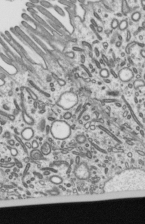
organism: Mouse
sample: Mouse epididymis efferent ductule cilia